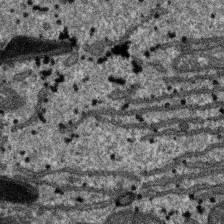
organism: Human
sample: Lung epithelial cells infected with SARS-CoV-2